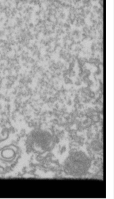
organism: Drosophila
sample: Cell division; meiosis; drosophila spermatocytes